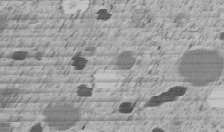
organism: C. elegans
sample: C. elegans embryo early stage